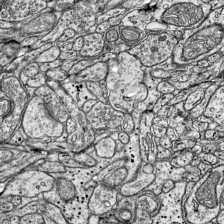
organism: Mouse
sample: Visual Cortex